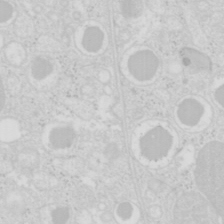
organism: Mouse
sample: Pancreas